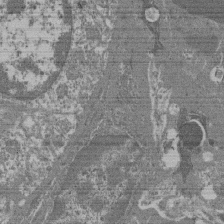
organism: Mouse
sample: Glomerulus